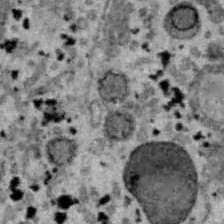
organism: Mouse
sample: Liver from an obese (ob/ob) mouse